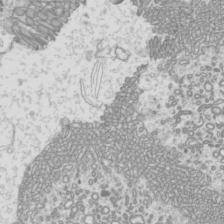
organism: Mouse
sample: Cilia; mouse epididymis